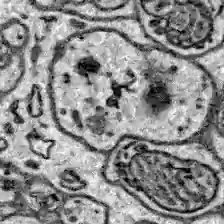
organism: Zebrafish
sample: Brain